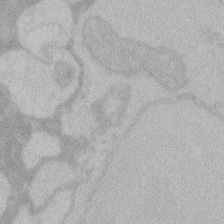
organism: Zebrafish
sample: Macrophage infected with Toxoplasma gondii